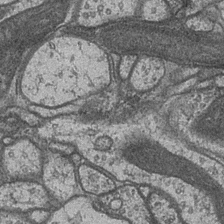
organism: Drosophila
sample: Optic medulla